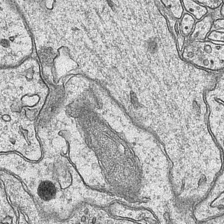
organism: Mouse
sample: CA1 Hippocampus